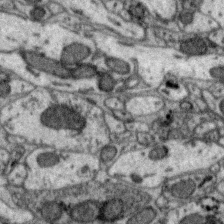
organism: Zebra finch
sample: Brain